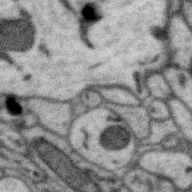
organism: Zebra finch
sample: Brain